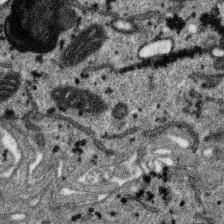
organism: Human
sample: Lung epithelial cells infected with SARS-CoV-2